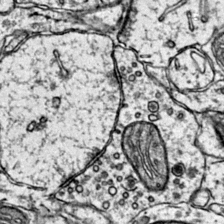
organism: Mouse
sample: Primary visual cortex